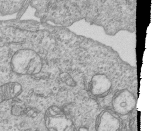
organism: Human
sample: MDA-MB-231 cells